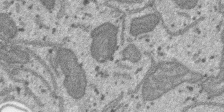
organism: Human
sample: Lung epithelial cells infected with SARS-CoV-2